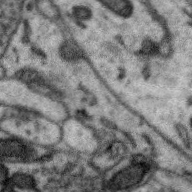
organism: Zebra finch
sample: Brain